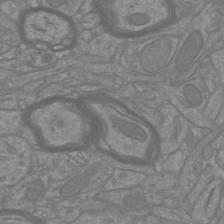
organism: Mouse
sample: Cortical neurons